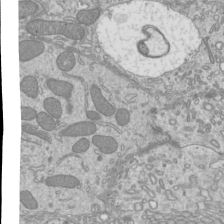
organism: Mouse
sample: Cilia; mouse epididymis